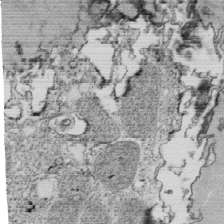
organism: Tetrahymena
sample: Cilia in tetrahymena